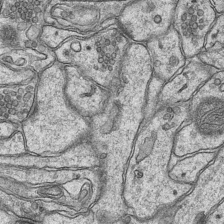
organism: Mouse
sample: CA1 Hippocampus